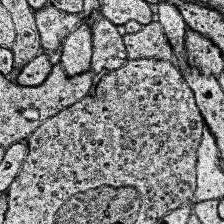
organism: Human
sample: Temporal Lobe